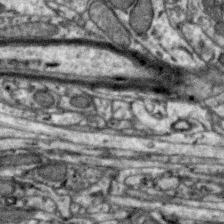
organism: Zebra finch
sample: Brain